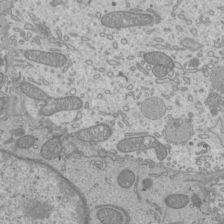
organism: Mouse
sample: Cilia; mouse epididymis